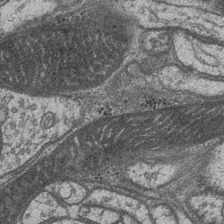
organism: Drosophila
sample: Optic medulla